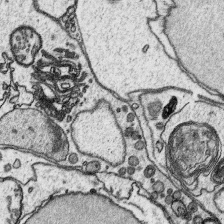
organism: Platynereis dumerilii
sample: Parapodia